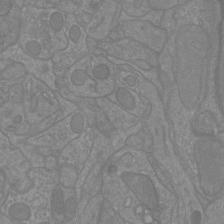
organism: Mouse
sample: Cortical neurons